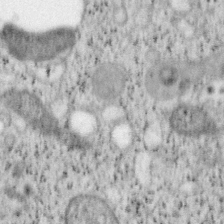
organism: Mouse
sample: OT-I killer T cells with ID8 ovarian cancer cells